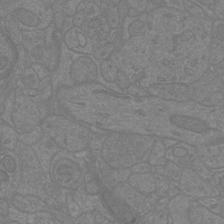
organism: Mouse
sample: Cortical neurons